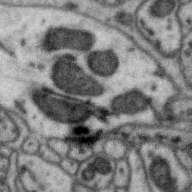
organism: Zebra finch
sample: Brain